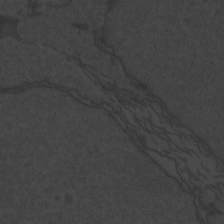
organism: Zebrafish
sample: Macrophage infected with Toxoplasma gondii